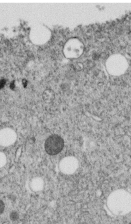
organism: C. elegans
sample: C. elegans embryo early stage